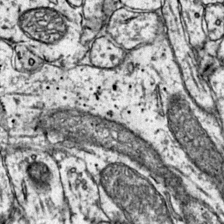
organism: Mouse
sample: Primary visual cortex